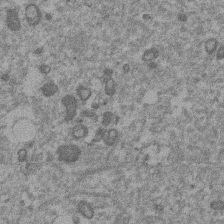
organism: Mouse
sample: Dividing mouse embryo 1 cell stage